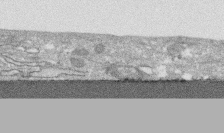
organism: Human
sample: CRL-1474